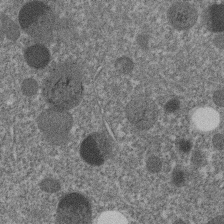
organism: C. elegans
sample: C. elegans embryo early stage